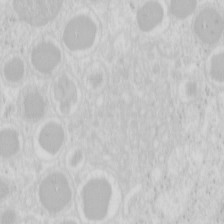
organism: Mouse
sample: Pancreas